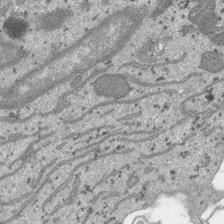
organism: Human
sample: Lung epithelial cells infected with SARS-CoV-2